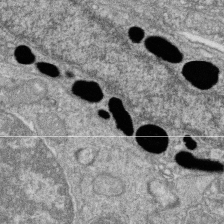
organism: Zebrafish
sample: Cilia; retinal pigment epithelium